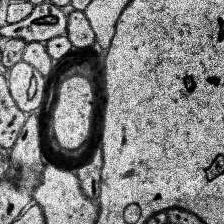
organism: Human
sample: Temporal Lobe